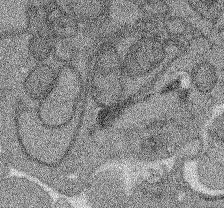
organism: Human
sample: HeLa cells